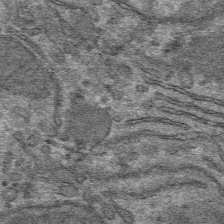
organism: Mouse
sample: Mouse hepatocytes